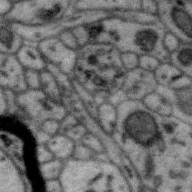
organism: Zebra finch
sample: Brain